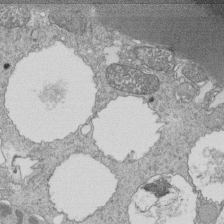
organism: Tetrahymena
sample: Cilia in tetrahymena